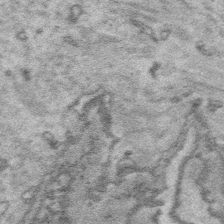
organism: Platynereis dumerilii